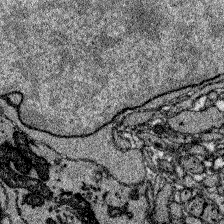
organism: Zebrafish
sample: Larval olfactory bulb